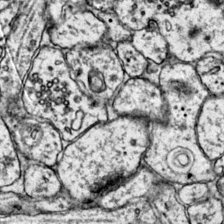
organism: Mouse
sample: Primary visual cortex